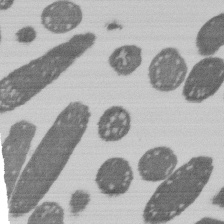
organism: E. coli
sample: Bacterial nucleoid